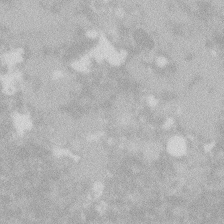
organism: Zebrafish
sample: Macrophage